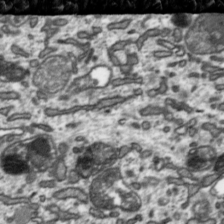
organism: Toxoplasma gondii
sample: Parasites in a vacuole inside a host cell